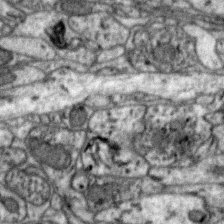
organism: Zebra finch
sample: Brain